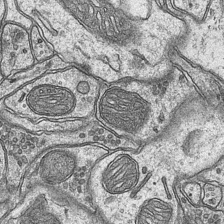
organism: Mouse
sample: CA1 Hippocampus